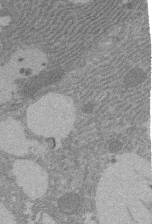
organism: Rat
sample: Salivary granule